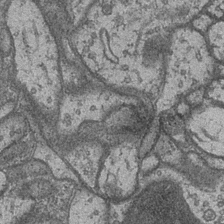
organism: Drosophila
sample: Optic medulla